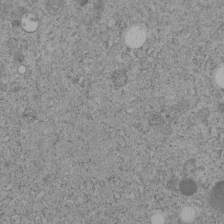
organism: C. elegans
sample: C. elegans embryo early stage